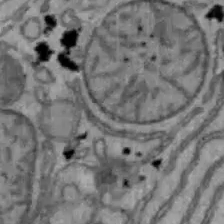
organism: Mouse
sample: Liver